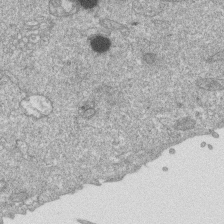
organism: Human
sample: HeLa cell HIV synapse